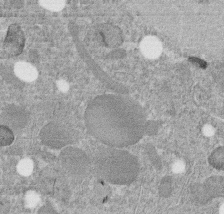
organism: C. elegans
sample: C. elegans embryo early stage